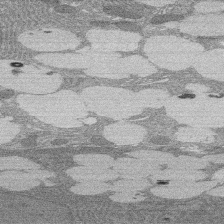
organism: Rat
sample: Salivary granule